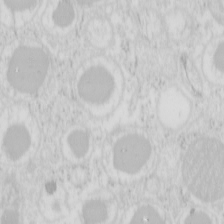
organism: Mouse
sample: Pancreas